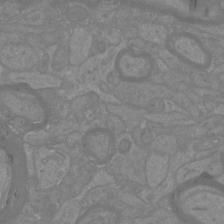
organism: Mouse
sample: Cortical neurons